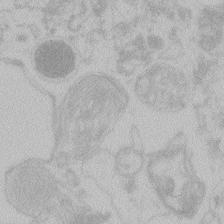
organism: Zebrafish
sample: Macrophage infected with Toxoplasma gondii